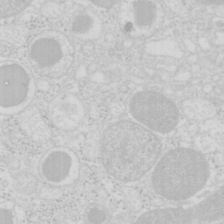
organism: Mouse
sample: Pancreas